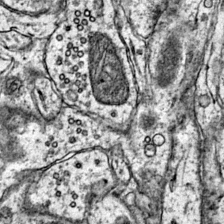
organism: Mouse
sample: Primary visual cortex